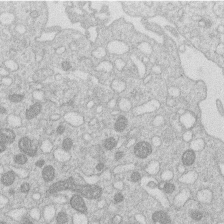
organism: Human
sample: Macrophage cells